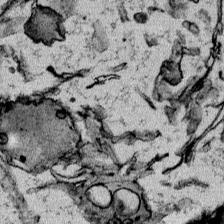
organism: Mouse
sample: Mouse Salivary gland